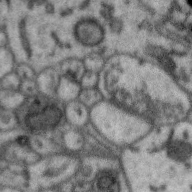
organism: Zebra finch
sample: Brain